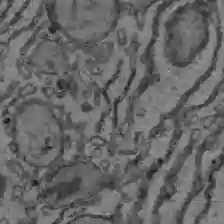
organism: C57BL Mouse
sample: Liver